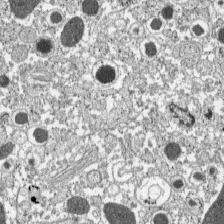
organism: C57BL Mouse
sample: Pancreatic islet